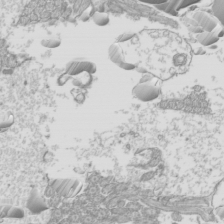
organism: Mouse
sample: Cilia; mouse epididymis